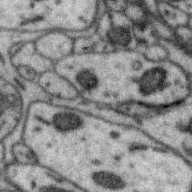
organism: Zebra finch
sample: Brain